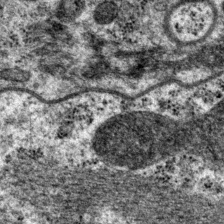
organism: P. pacificus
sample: Pharynx